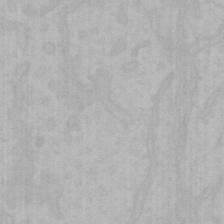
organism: Mouse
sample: Choroid plexus